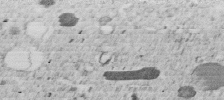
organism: C. elegans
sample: C. elegans embryo early stage